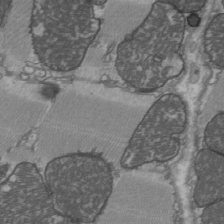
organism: C57BL Mouse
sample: Heart